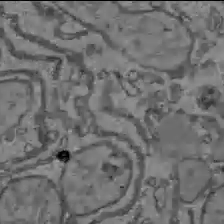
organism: C57BL Mouse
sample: Liver